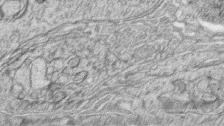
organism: Zebrafish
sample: synaptic ribbons in rod cells and cone cells